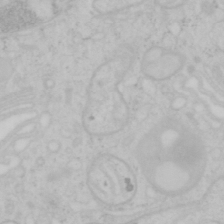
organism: Mouse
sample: OT-I killer T cells with ID8 ovarian cancer cells